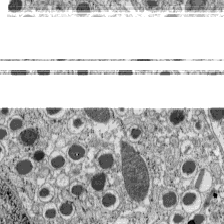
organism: C57BL Mouse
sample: Pancreatic islet